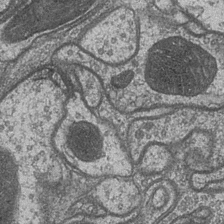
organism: Drosophila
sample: Optic medulla